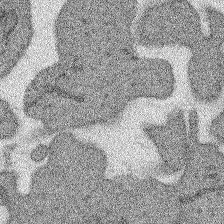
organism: Human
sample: HeLa cells